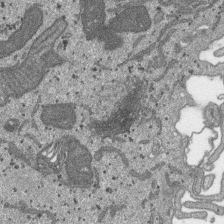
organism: Human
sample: Lung epithelial cells infected with SARS-CoV-2